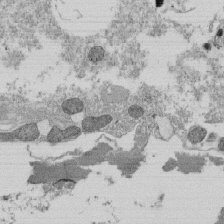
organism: Tetrahymena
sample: Cilia in tetrahymena